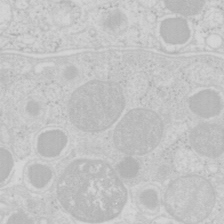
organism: Mouse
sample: Pancreas